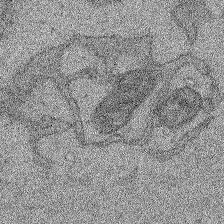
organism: Human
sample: HeLa cells